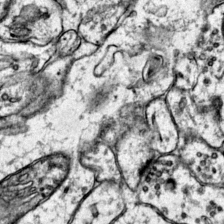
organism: Mouse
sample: Primary visual cortex